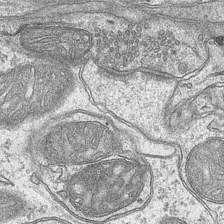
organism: Mouse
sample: CA1 Hippocampus